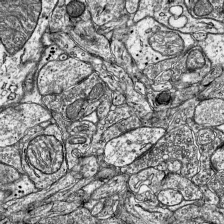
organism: Mouse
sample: Visual Cortex